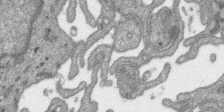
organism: Human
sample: Lung epithelial cells infected with SARS-CoV-2